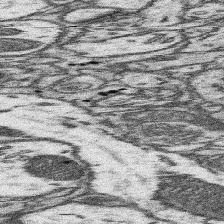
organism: Mouse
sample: Somatosensory cortex neuropil